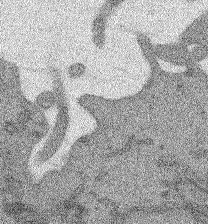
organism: Human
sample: HeLa cells